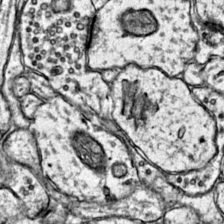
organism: Mouse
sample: Primary visual cortex